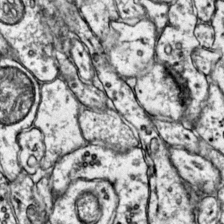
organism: Mouse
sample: Primary visual cortex